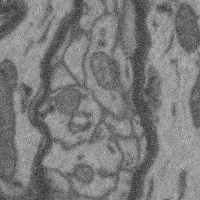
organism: Mouse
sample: Cerebral cortex